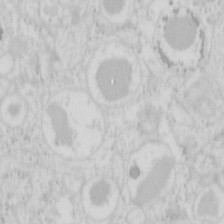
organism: Mouse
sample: Pancreas